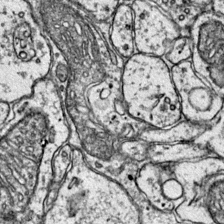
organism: Mouse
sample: Primary visual cortex